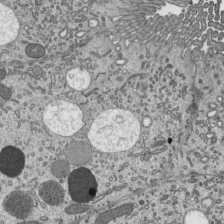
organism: Mouse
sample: Mouse epididymis efferent ductule cilia